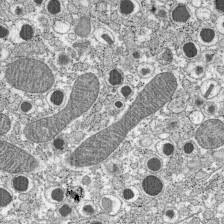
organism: C57BL Mouse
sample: Pancreatic islet